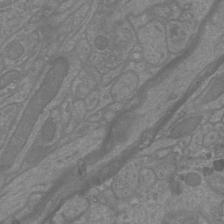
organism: Mouse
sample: Cortical neurons